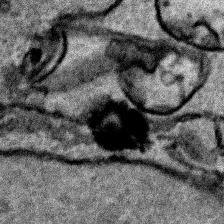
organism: Human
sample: Mitochondria in HCT116 cells